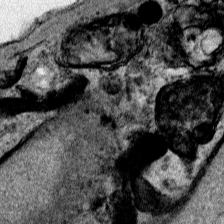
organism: Human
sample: Mitochondria in HCT116 cells